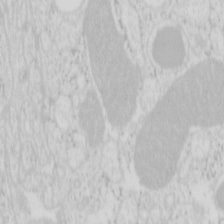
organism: Mouse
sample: Pancreas